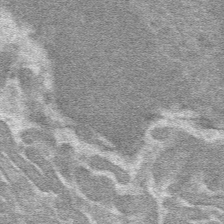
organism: Mouse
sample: Mouse hepatocytes